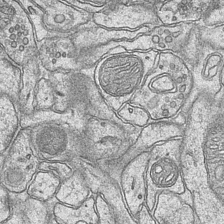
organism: Mouse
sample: CA1 Hippocampus